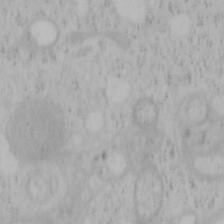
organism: Mouse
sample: OT-I killer T cells with ID8 ovarian cancer cells